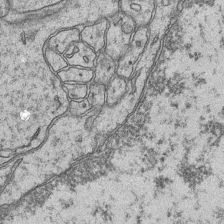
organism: Mouse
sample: CA1 Hippocampus